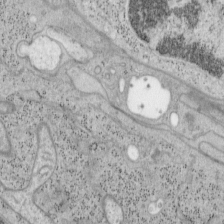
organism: Mouse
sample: OT-I killer T cells with ID8 ovarian cancer cells